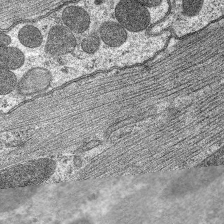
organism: C. elegans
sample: Pharynx